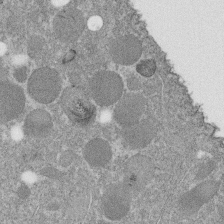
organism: C. elegans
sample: C. elegans embryo early stage